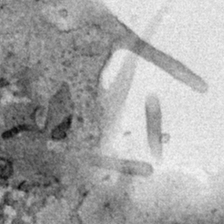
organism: Human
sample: Mitochondria in HCT116 cells